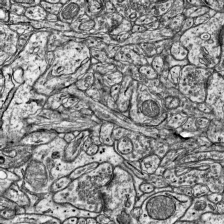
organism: Mouse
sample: Visual Cortex